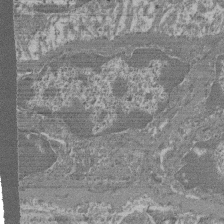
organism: Mouse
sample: Glomerulus